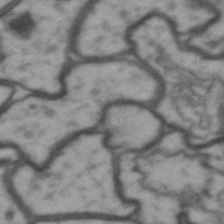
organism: Drosophila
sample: Brain